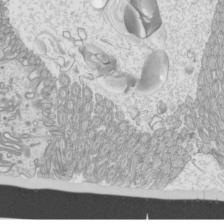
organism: Mouse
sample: Cilia; mouse epididymis